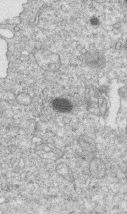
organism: Human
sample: HeLa cell HIV synapse